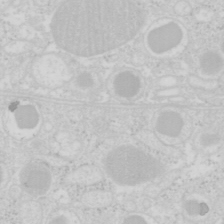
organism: Mouse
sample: Pancreas